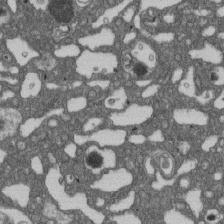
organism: Drosophila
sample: Nephrocyte